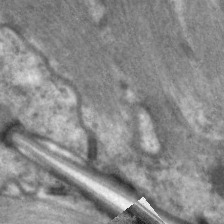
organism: C. elegans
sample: Pharynx